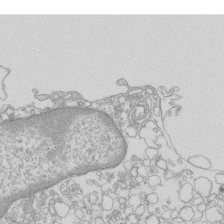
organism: Mouse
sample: Macrophages